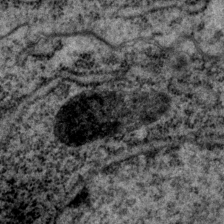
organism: P. pacificus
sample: Pharynx